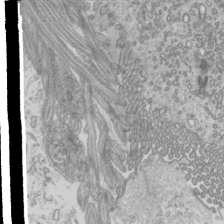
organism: Mouse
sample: Cilia; mouse epididymis